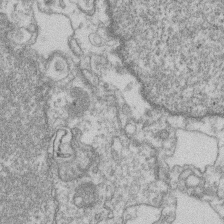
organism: Mouse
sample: T cell stromal cell synapse